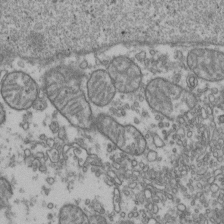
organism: Human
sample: Activated Jurkat CD4+ T cells